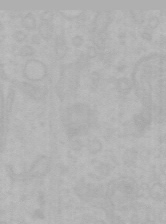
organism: Mouse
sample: Choroid plexus